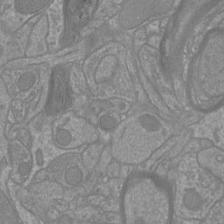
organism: Mouse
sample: Cortical neurons